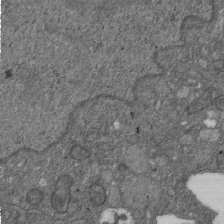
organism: Drosophila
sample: Nephrocyte